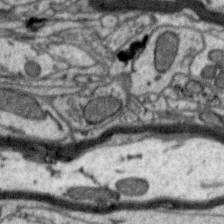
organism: Zebra finch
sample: Brain